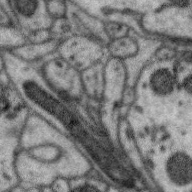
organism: Zebra finch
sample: Brain